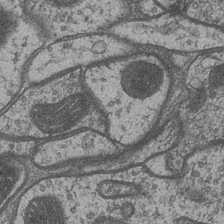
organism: Drosophila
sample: Optic medulla